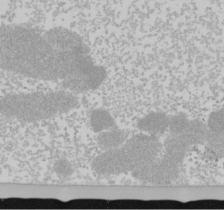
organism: Mouse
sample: Cancer cell death in ED-1 cells